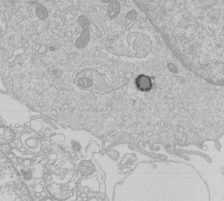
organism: Human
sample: Macrophage cells